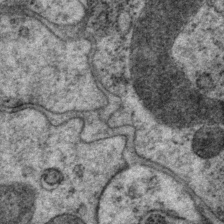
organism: P. pacificus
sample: Pharynx